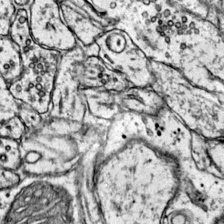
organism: Mouse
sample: Primary visual cortex